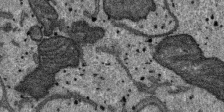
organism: Human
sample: Lung epithelial cells, uninfected (mock) control